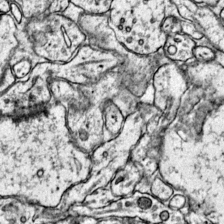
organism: Mouse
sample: Primary visual cortex